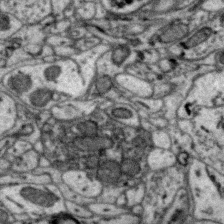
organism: Zebra finch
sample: Brain